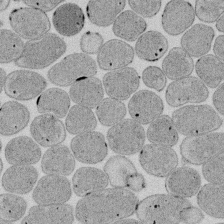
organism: E. coli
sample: Bacterial nucleoid